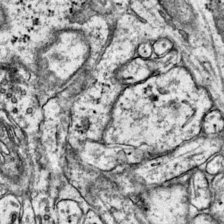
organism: Mouse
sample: Primary visual cortex